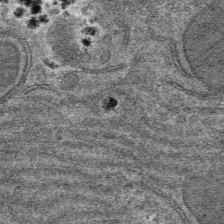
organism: Mouse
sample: Mouse hepatocytes